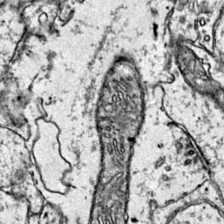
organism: Mouse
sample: Primary visual cortex